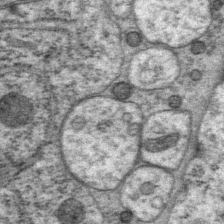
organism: P. pacificus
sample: Pharynx